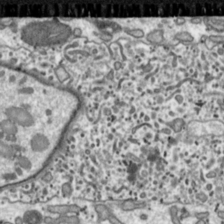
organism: Toxoplasma gondii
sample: Parasites in a vacuole inside a host cell